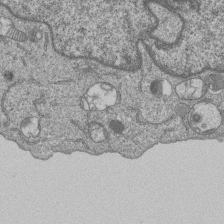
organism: Human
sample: MDA-MB-231 cells